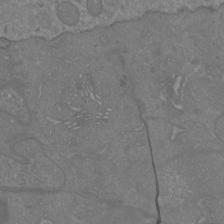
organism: Mouse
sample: Cortical neurons